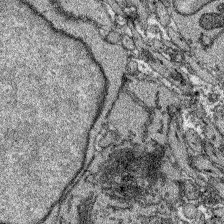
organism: Zebrafish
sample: Larval olfactory bulb